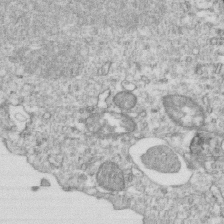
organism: Mouse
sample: Activated OT-1 CD8+ T cells